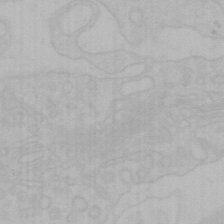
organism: Mouse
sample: Choroid plexus